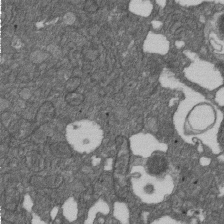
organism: Drosophila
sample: Nephrocyte